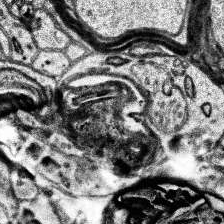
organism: Human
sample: Temporal Lobe